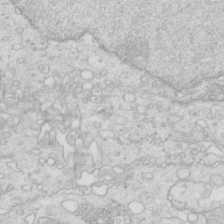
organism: Mouse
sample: Multiciliated cells